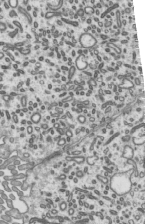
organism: Mouse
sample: Mouse epididymis efferent ductule cilia